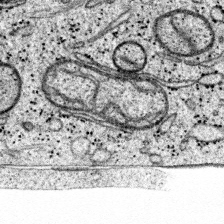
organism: Human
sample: HeLa cells